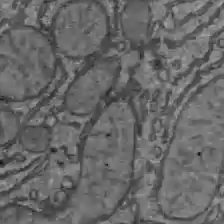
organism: C57BL Mouse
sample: Liver